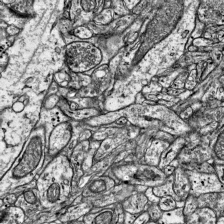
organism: Mouse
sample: Visual Cortex